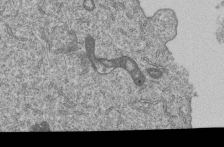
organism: Human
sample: MDA-MB-231 cells